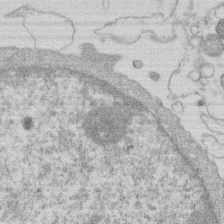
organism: Human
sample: Macrophage cells